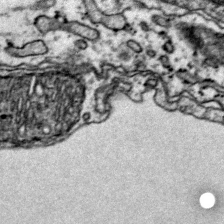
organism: Mouse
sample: Primary visual cortex